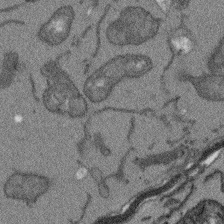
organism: Arabidopsis thaliana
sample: Root tip